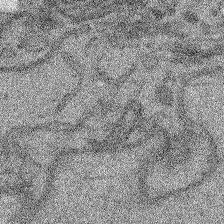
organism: Human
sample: HeLa cells